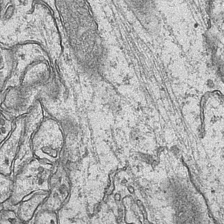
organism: Mouse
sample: CA1 Hippocampus